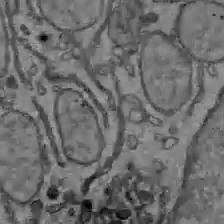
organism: C57BL Mouse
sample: Liver